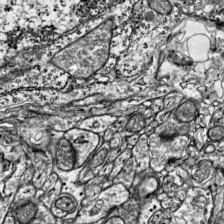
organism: Mouse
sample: Visual Cortex